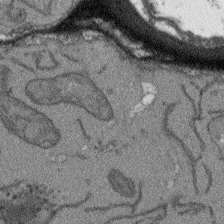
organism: Arabidopsis thaliana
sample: Root tip